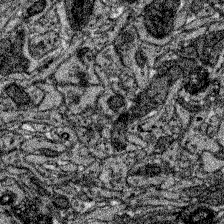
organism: Zebrafish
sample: Larval olfactory bulb